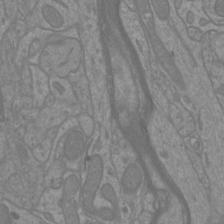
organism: Mouse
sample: Cortical neurons